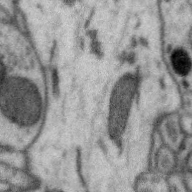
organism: Zebra finch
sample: Brain